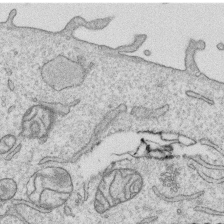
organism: Human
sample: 1205lu cells